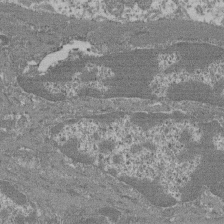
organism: Mouse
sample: Glomerulus